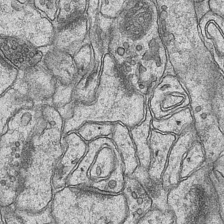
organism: Mouse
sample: CA1 Hippocampus